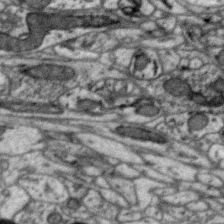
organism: Zebra finch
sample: Brain